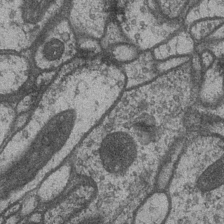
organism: Drosophila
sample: Optic medulla